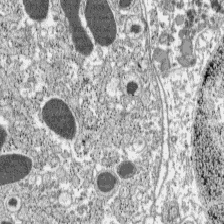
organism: C57BL Mouse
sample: Pancreatic islet